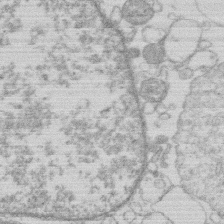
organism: Human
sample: Macrophage cells